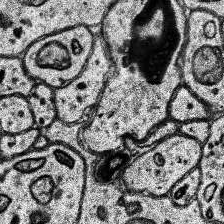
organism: Human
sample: Temporal Lobe